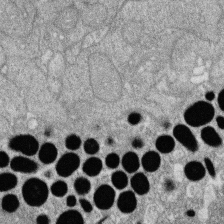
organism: Zebrafish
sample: Cilia; retinal pigment epithelium